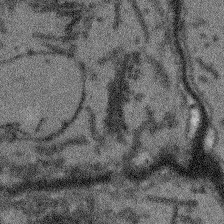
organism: Arabidopsis thaliana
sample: Root tip